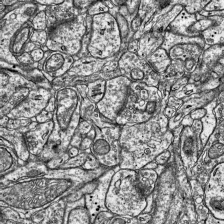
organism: Mouse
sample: Visual Cortex